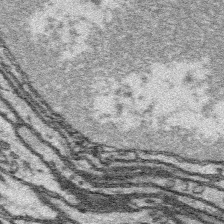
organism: Platynereis dumerilii